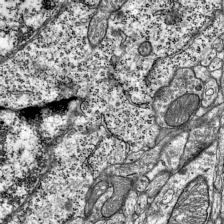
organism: Mouse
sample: Visual Cortex